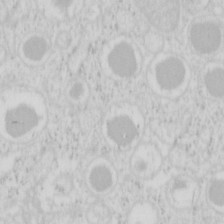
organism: Mouse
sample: Pancreas